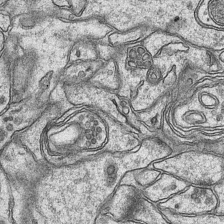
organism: Mouse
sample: CA1 Hippocampus